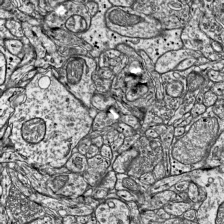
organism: Mouse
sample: Visual Cortex